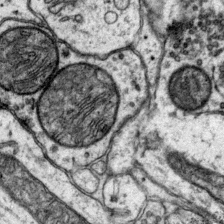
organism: Mouse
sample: Primary visual cortex